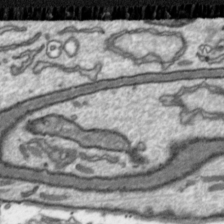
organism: Toxoplasma gondii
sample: Parasites in a vacuole inside a host cell